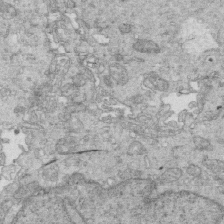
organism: Mouse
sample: Multiciliated cells